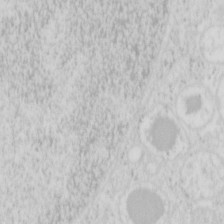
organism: Mouse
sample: Pancreas